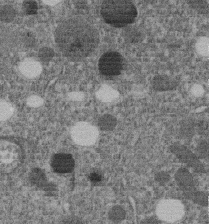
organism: C. elegans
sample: C. elegans embryo early stage